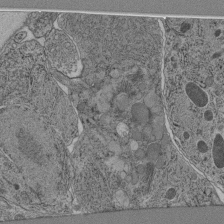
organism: C. elegans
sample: C. elegans pharynx